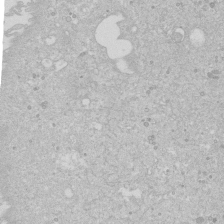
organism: Human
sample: Caco-2 cells